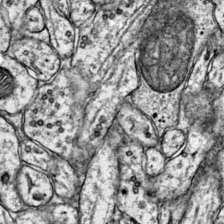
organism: Mouse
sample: Primary visual cortex